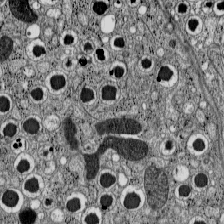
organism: C57BL Mouse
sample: Pancreatic islet